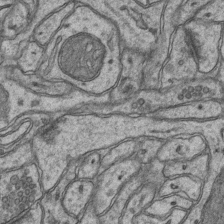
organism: Mouse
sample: CA1 Hippocampus